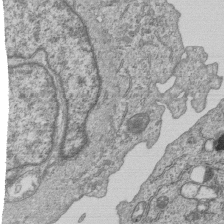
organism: Human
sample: MDA-MB-231 cells